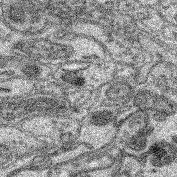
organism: Mouse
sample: Retina